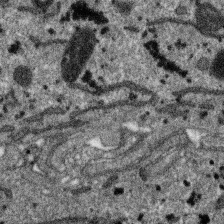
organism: Human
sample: Lung epithelial cells infected with SARS-CoV-2